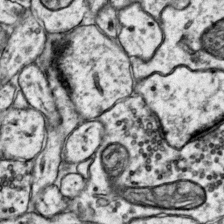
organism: Mouse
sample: Primary visual cortex